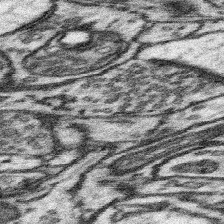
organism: Mouse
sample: Somatosensory cortex neuropil